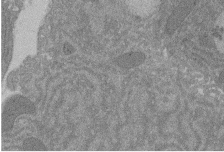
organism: Rat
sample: Salivary granule